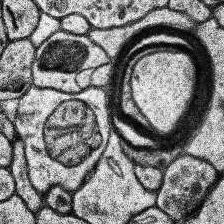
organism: Human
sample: Temporal Lobe